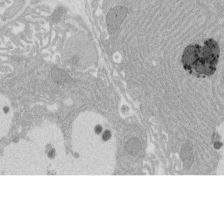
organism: Rat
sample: Salivary granule